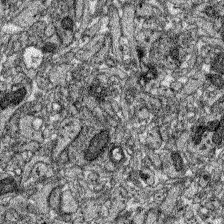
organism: Zebrafish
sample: Larval olfactory bulb